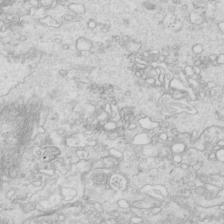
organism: Mouse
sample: Multiciliated cells